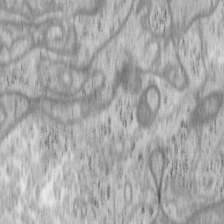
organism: Human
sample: HeLa cells